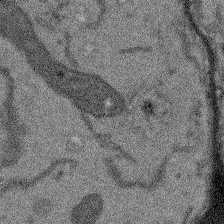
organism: Arabidopsis thaliana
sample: Root tip